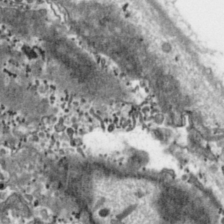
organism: Toxoplasma gondii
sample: Parasites in a vacuole inside a host cell